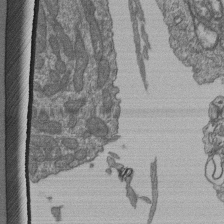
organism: Human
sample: Retinal organoid Rod and Cone cells